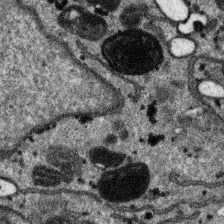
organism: Human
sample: Lung epithelial cells infected with SARS-CoV-2